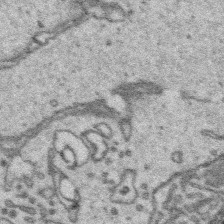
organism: Platynereis dumerilii